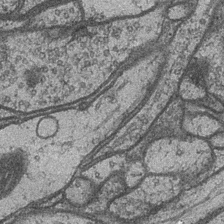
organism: Drosophila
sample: Optic medulla